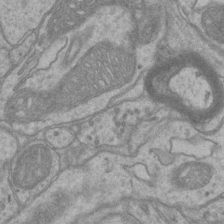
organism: Mouse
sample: CA1 Hippocampus